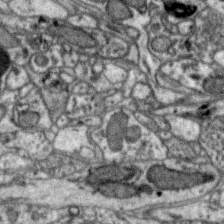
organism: Zebra finch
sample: Brain